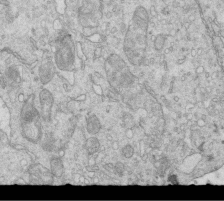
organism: Mouse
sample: Multiciliated cells